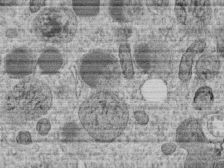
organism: C. elegans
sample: C. elegans embryo early stage